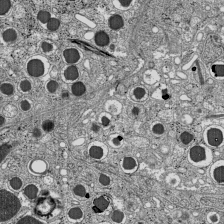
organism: C57BL Mouse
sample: Pancreatic islet